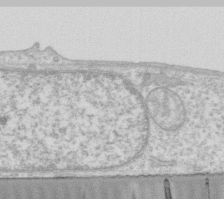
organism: Human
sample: Fibroblast cells